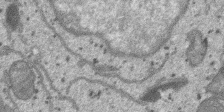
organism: Human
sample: Lung epithelial cells infected with SARS-CoV-2